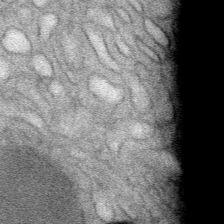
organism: Mouse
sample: Mouse Salivary gland